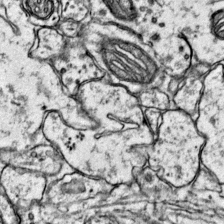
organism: Mouse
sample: Primary visual cortex